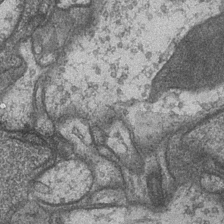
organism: Drosophila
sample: Optic medulla